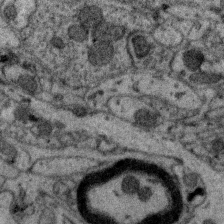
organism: Zebra finch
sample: Brain